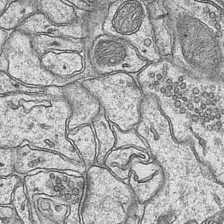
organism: Mouse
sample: CA1 Hippocampus